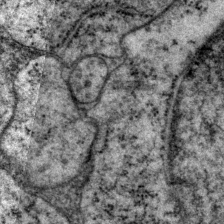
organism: P. pacificus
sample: Pharynx